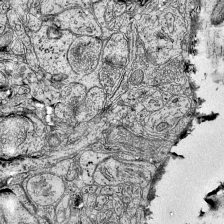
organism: Mouse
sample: Visual Cortex